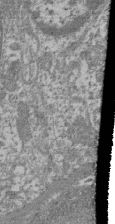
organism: Mouse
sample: Glomerulus